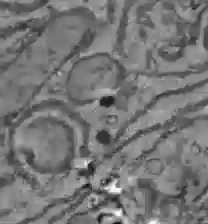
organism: C57BL Mouse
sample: Liver